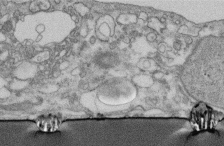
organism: Human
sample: Centriole in fibroblast cells